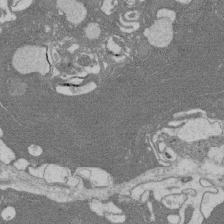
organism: Rat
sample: Salivary granule